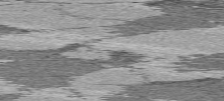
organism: C57BL Mouse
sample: Heart